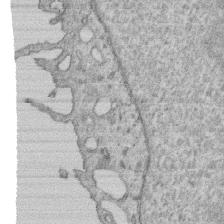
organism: Human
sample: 1205lu cells